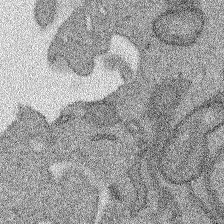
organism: Human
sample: HeLa cells